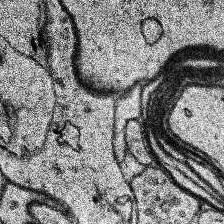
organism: Human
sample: Temporal Lobe